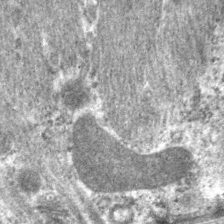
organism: C. elegans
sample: Pharynx